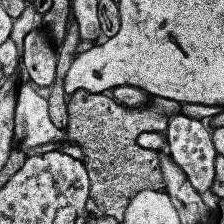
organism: Human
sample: Temporal Lobe